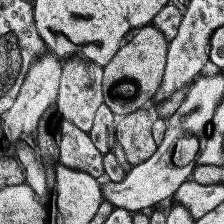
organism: Human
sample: Temporal Lobe